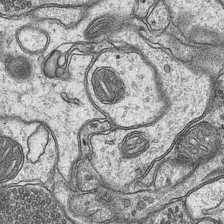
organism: Mouse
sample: CA1 Hippocampus